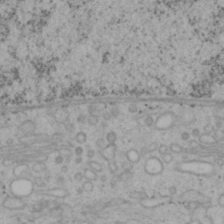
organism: Human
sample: HeLa cells